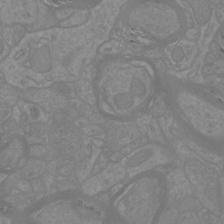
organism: Mouse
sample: Cortical neurons